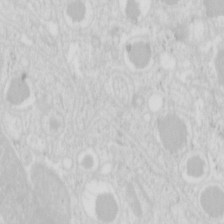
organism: Mouse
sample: Pancreas